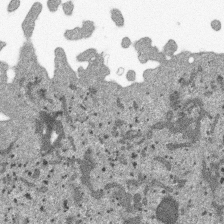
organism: Human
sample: Lung epithelial cells infected with SARS-CoV-2